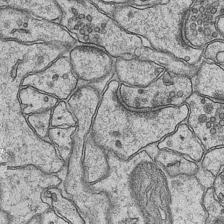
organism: Mouse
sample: CA1 Hippocampus